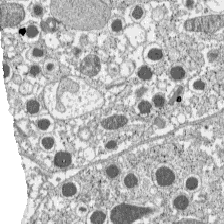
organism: C57BL Mouse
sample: Pancreatic islet